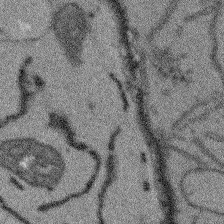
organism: Arabidopsis thaliana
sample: Root tip